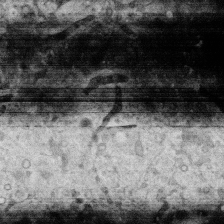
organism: Human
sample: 1205lu cells